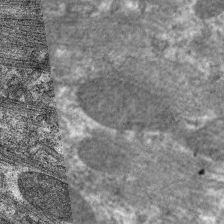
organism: C. elegans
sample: Pharynx